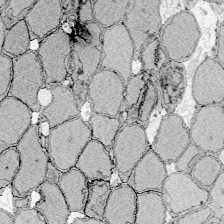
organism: Zebrafish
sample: Whole-Brain